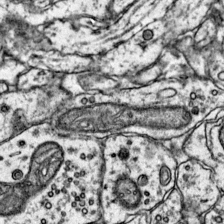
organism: Mouse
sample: Primary visual cortex